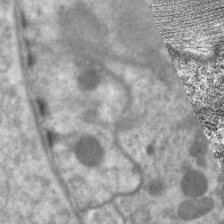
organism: C. elegans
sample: Pharynx